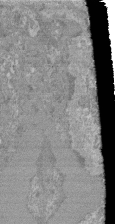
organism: Mouse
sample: Glomerulus